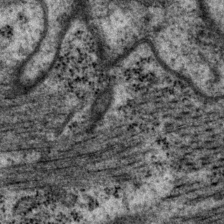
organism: P. pacificus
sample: Pharynx